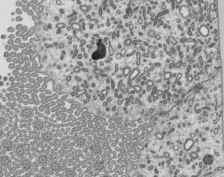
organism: Mouse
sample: Mouse epididymis efferent ductule cilia